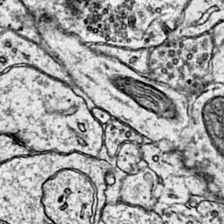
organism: Mouse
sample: Primary visual cortex